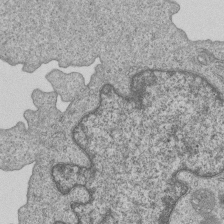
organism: Human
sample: MDA-MB-231 cells